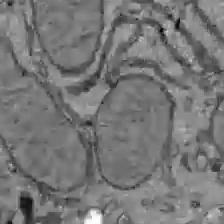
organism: C57BL Mouse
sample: Liver